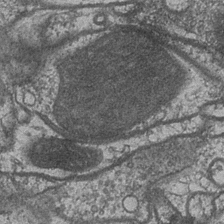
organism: Drosophila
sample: Optic medulla